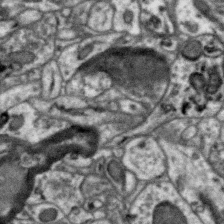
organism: Zebra finch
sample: Brain